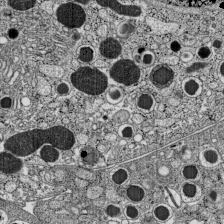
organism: C57BL Mouse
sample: Pancreatic islet